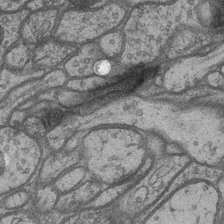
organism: Drosophila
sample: Optic medulla